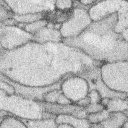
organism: Rabbit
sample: Retina